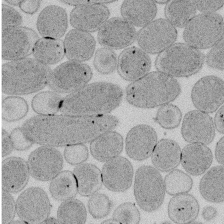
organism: E. coli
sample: Bacterial nucleoid